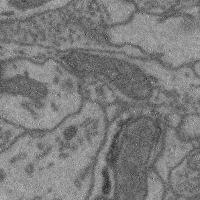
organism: Mouse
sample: Cerebral cortex